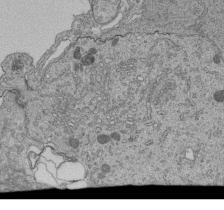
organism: Human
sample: Retinal organoid Rod and Cone cells